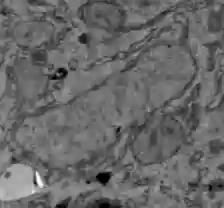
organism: C57BL Mouse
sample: Liver